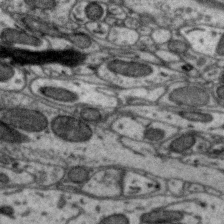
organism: Zebra finch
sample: Brain